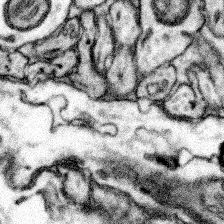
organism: Mouse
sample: Somatosensory cortex neuropil